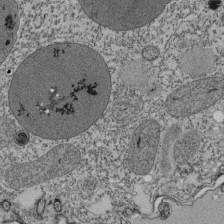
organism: Tetrahymena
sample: Cilia in tetrahymena